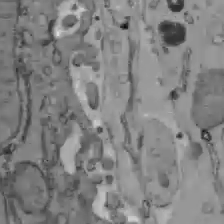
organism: C57BL Mouse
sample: Liver